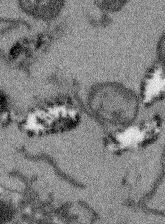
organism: Arabidopsis thaliana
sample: Root tip